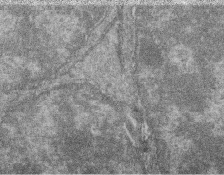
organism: Zebrafish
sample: Cilia; retinal pigment epithelium